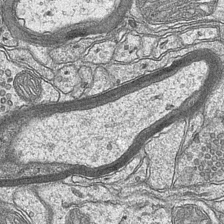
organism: Mouse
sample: CA1 Hippocampus